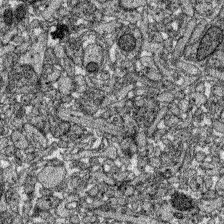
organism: Zebrafish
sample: Larval olfactory bulb